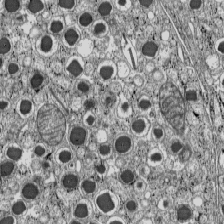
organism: C57BL Mouse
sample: Pancreatic islet